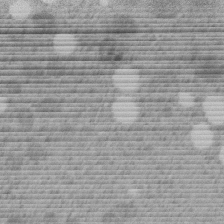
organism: C. elegans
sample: C. elegans embryo early stage